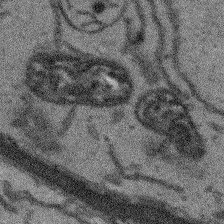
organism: Arabidopsis thaliana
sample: Root tip